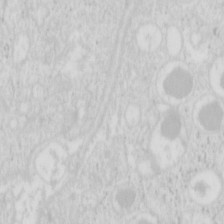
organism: Mouse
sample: Pancreas